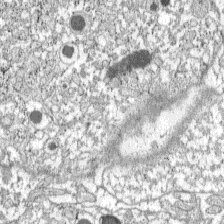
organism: C57BL Mouse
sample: Pancreatic islet